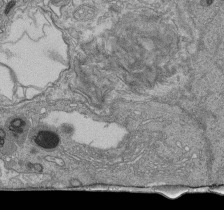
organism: Human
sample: Retinal organoid Rod and Cone cells